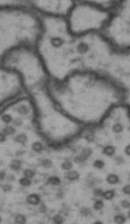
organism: Drosophila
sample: Brain